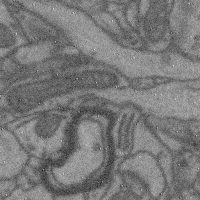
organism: Mouse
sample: Cerebral cortex